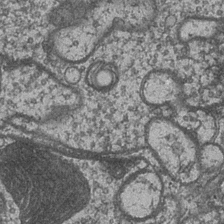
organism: Drosophila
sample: Optic medulla